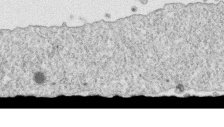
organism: Human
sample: HeLa cell HIV synapse